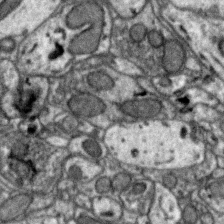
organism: Zebra finch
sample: Brain